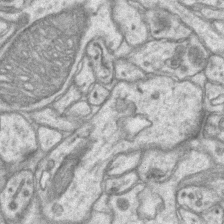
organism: Mouse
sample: CA1 Hippocampus